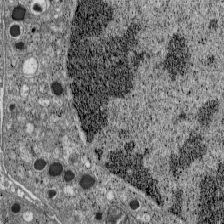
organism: C57BL Mouse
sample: Pancreatic islet